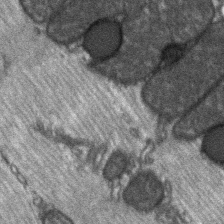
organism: C57BL Mouse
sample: Soleus